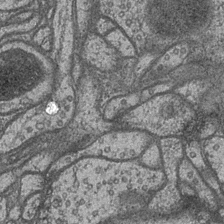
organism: Drosophila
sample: Optic medulla